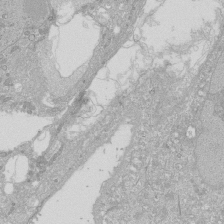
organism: Human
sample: Caco-2 cells